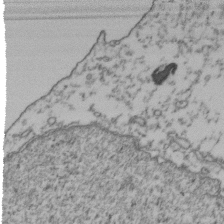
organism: Human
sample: Activated Jurkat CD4+ T cells